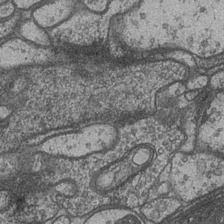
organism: Drosophila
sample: Optic medulla